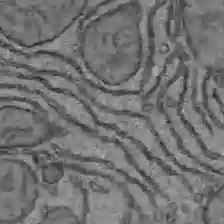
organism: C57BL Mouse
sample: Liver